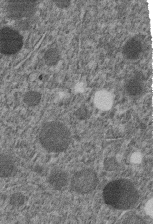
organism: C. elegans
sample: C. elegans embryo early stage